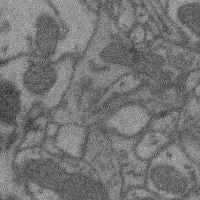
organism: Mouse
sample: Cerebral cortex